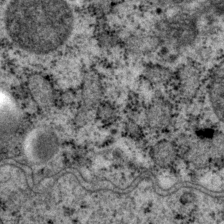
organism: P. pacificus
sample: Pharynx